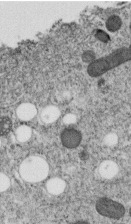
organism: C. elegans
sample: C. elegans embryo early stage